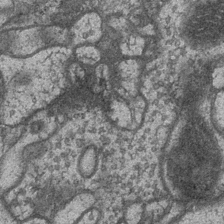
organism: Drosophila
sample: Optic medulla